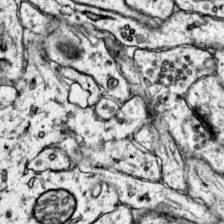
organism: Mouse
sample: Primary visual cortex